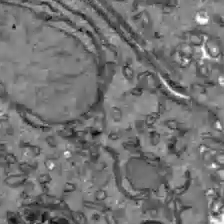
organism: C57BL Mouse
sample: Liver